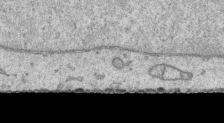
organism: Human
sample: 1205lu cells